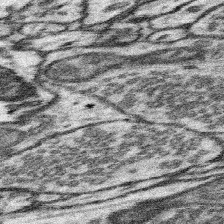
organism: Mouse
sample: Somatosensory cortex neuropil